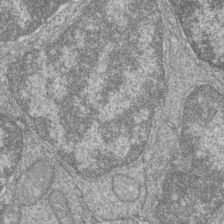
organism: Zebrafish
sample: Cilia; retinal pigment epithelium